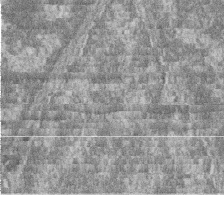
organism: Zebrafish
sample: Cilia; retinal pigment epithelium